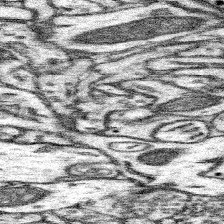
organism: Mouse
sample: Somatosensory cortex neuropil